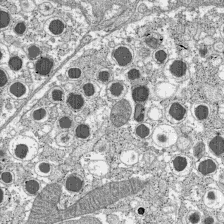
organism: C57BL Mouse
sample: Pancreatic islet